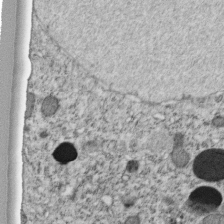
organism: C. elegans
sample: C. elegans embryo early stage